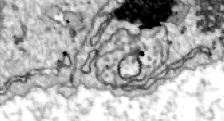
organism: Zebrafish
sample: Actinotrichia fibers